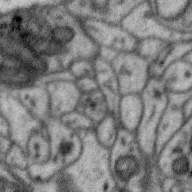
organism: Zebra finch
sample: Brain